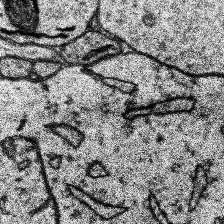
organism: Human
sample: Temporal Lobe